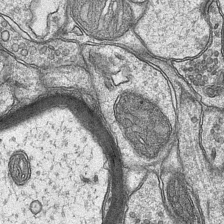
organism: Mouse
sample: CA1 Hippocampus